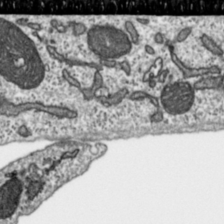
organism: Toxoplasma gondii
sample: Parasites in a vacuole inside a host cell